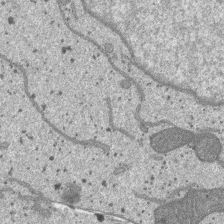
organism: Human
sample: Lung epithelial cells infected with SARS-CoV-2